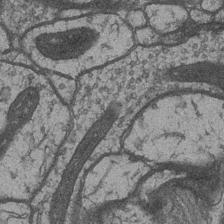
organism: Drosophila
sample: Optic medulla